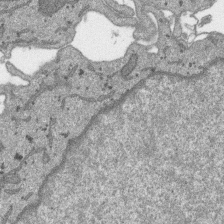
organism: Human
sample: Lung epithelial cells infected with SARS-CoV-2